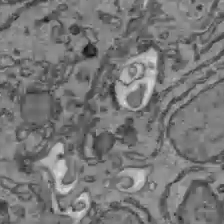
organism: C57BL Mouse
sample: Liver